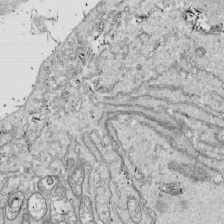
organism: Drosophila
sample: Cell division; meiosis; drosophila spermatocytes